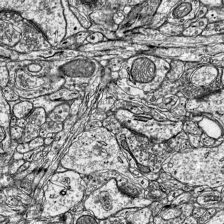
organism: Mouse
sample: Visual Cortex